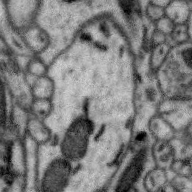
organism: Zebra finch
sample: Brain